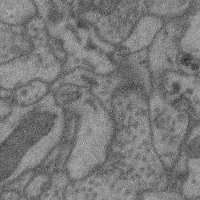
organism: Mouse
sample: Cerebral cortex